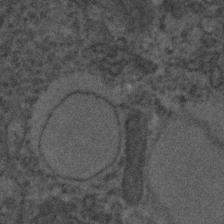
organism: C. elegans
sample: C. elegans embryo